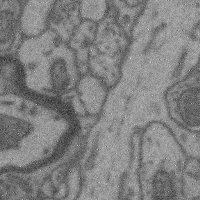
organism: Mouse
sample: Cerebral cortex